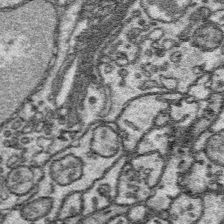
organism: Platynereis dumerilii